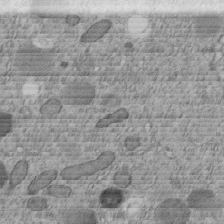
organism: C. elegans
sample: C. elegans embryo early stage